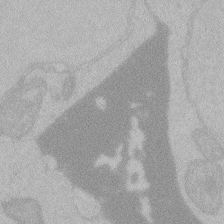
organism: Zebrafish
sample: Macrophage infected with Toxoplasma gondii